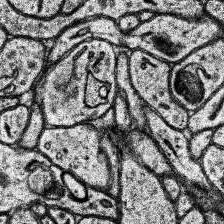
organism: Human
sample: Temporal Lobe